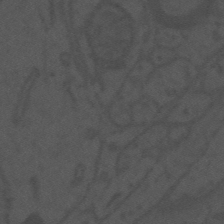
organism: Mouse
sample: Suprachiasmatic nucleus